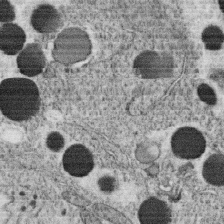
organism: C. elegans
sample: C. elegans oocyte; sperm cells